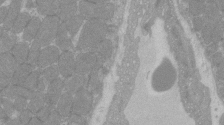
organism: C57BL Mouse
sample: Tibialis anterior muscle cell